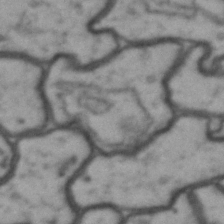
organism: Drosophila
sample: Brain